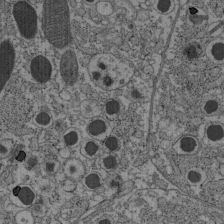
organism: C57BL Mouse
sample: Pancreatic islet